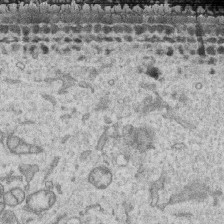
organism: Human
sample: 1205lu cells